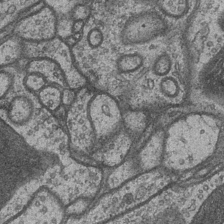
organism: Drosophila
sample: Optic medulla